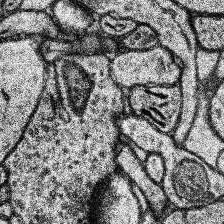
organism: Human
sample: Temporal Lobe